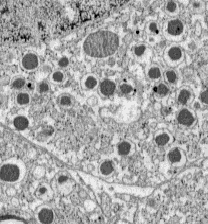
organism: C57BL Mouse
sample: Pancreatic islet